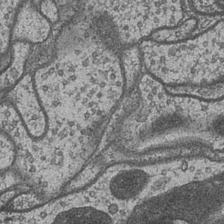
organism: Drosophila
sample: Optic medulla